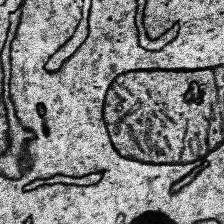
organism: Human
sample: Temporal Lobe